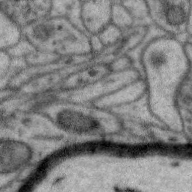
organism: Zebra finch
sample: Brain